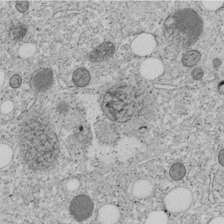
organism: C. elegans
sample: C. elegans embryo early stage